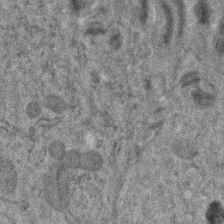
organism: Human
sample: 1205lu cells